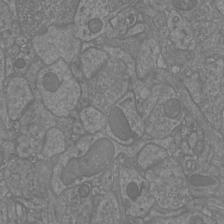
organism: Mouse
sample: Cortical neurons